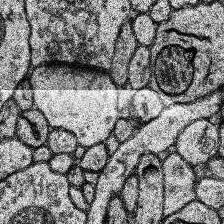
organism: Human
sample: Temporal Lobe